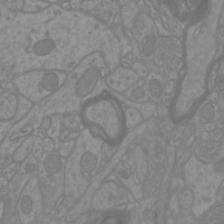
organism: Mouse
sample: Cortical neurons